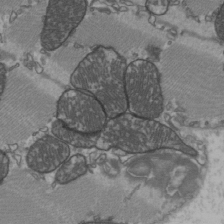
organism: C57BL Mouse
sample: Heart